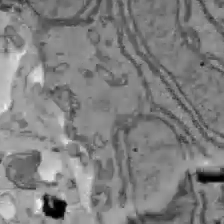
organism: C57BL Mouse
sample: Liver